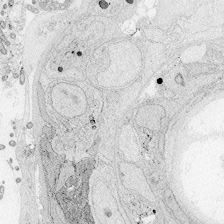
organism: Zebrafish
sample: Whole-Brain